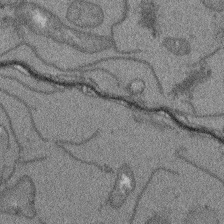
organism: Arabidopsis thaliana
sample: Root tip